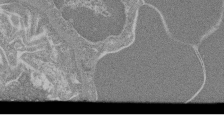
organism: Mouse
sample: Glomerulus